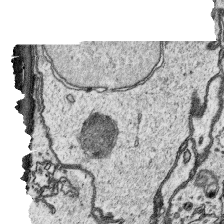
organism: Platynereis dumerilii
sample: Parapodia